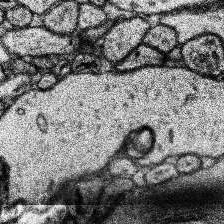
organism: Human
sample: Temporal Lobe